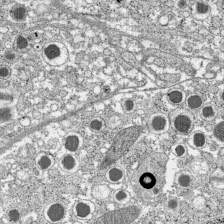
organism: C57BL Mouse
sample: Pancreatic islet